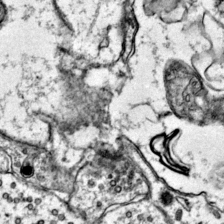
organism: Mouse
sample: Primary visual cortex